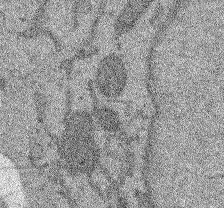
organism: Human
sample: HeLa cells